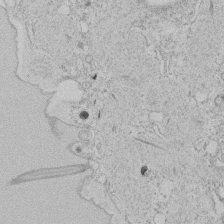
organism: Tetrahymena